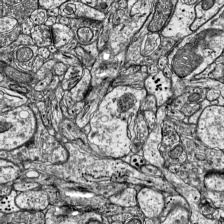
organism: Mouse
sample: Visual Cortex